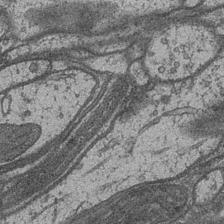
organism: Drosophila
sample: Optic medulla